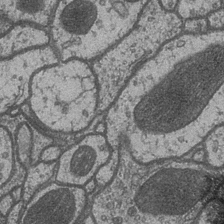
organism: Drosophila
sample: Optic medulla